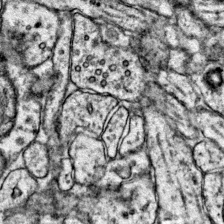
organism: Mouse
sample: Primary visual cortex